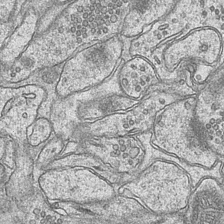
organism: Mouse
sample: CA1 Hippocampus